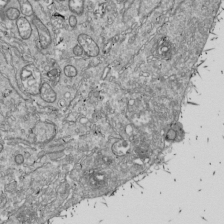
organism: Drosophila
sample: Cell division; meiosis; drosophila spermatocytes